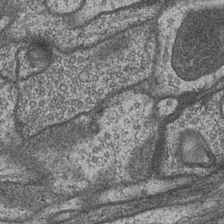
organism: Drosophila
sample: Optic medulla